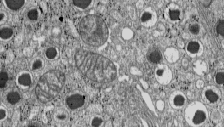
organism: C57BL Mouse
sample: Pancreatic islet